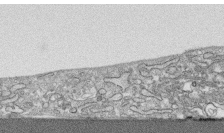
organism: Human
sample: CRL-1474